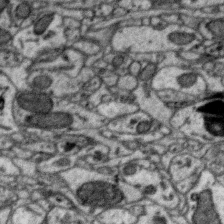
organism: Zebra finch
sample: Brain